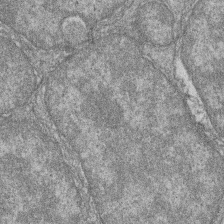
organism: Zebrafish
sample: Cilia; retinal pigment epithelium